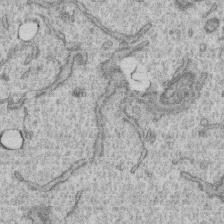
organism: Human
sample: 1205lu cells